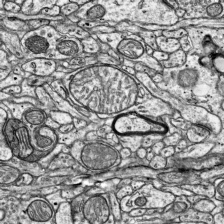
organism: Mouse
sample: Visual Cortex